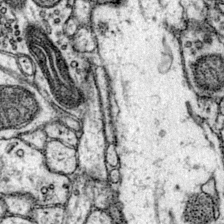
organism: Mouse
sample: Primary visual cortex